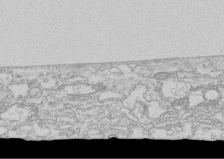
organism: Human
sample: CRL-1474